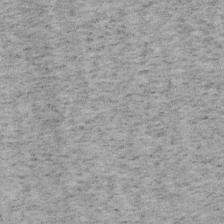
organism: Mouse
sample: OT-I killer T cells with ID8 ovarian cancer cells